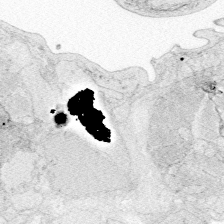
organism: Zebrafish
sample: Whole-Brain